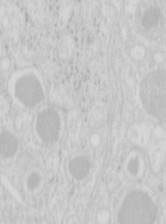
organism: Mouse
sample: Pancreas